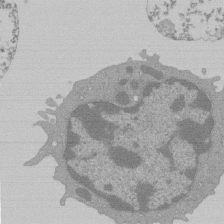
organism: Mouse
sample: Activated Pmel transgenic CD8+ T Cells